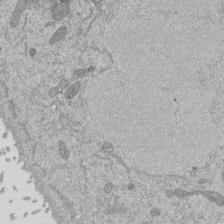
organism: Mouse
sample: ED-1 cell nuclei; centrioles